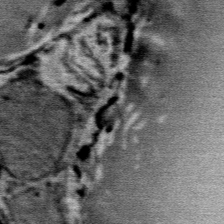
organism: Mouse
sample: Mouse Salivary gland